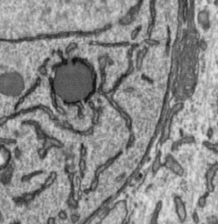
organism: Toxoplasma gondii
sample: Parasites in a vacuole inside a host cell